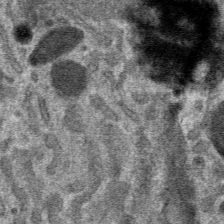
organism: Mouse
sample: Mouse hepatocytes